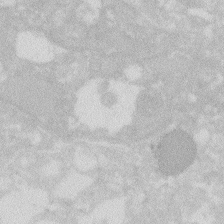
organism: Zebrafish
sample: Macrophage